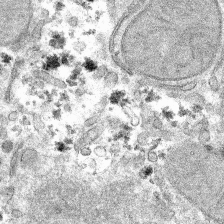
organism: Mouse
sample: Mouse hepatocytes